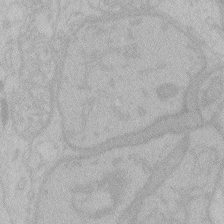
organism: Zebrafish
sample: Macrophage infected with Toxoplasma gondii